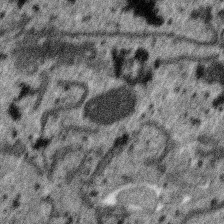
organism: Human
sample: Lung epithelial cells infected with SARS-CoV-2